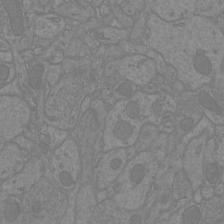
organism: Mouse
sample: Cortical neurons